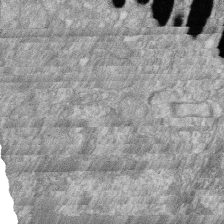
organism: Zebrafish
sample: Cilia; retinal pigment epithelium